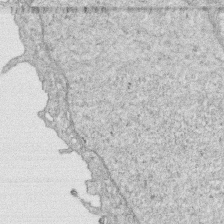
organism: Human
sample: HeLa cell HIV synapse